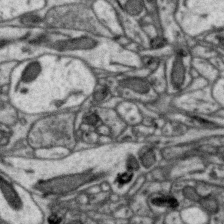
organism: Zebra finch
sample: Brain